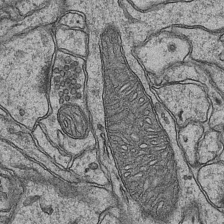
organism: Mouse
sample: CA1 Hippocampus